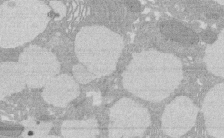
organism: Rat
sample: Salivary granule